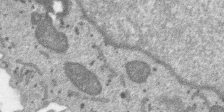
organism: Human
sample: Lung epithelial cells infected with SARS-CoV-2